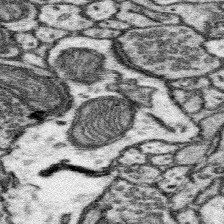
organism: Mouse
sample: Somatosensory cortex neuropil